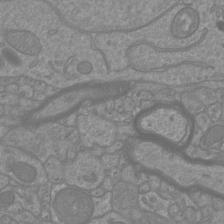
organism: Mouse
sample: Cortical neurons